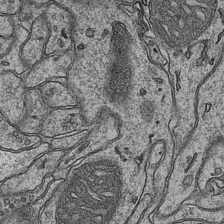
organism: Mouse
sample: CA1 Hippocampus